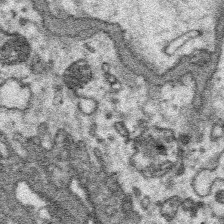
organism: Platynereis dumerilii